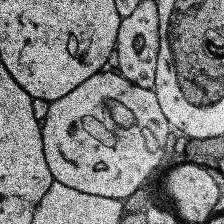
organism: Human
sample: Temporal Lobe